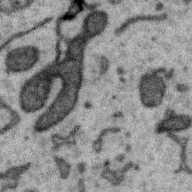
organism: Zebra finch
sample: Brain